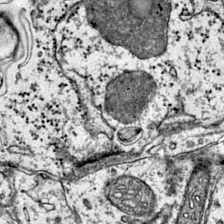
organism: Mouse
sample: Primary visual cortex